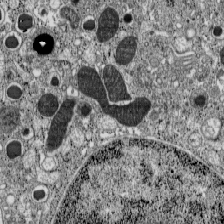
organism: C57BL Mouse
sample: Pancreatic islet